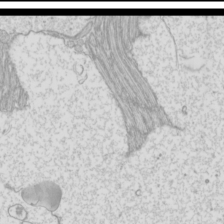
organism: Mouse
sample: Cilia; mouse epididymis